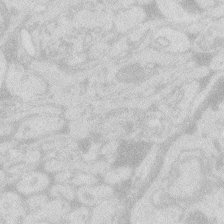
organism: Zebrafish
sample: Macrophage